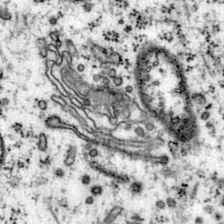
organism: Mouse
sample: Primary visual cortex